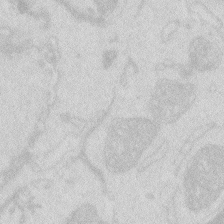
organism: Zebrafish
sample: Macrophage